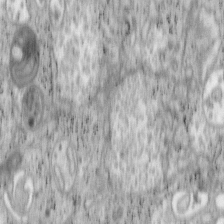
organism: Human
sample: HeLa cells